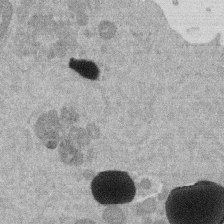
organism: Mouse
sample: Dividing mouse embryo 1 cell stage